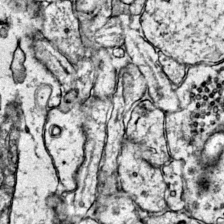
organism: Mouse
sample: Primary visual cortex